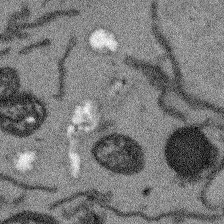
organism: Arabidopsis thaliana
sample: Root tip